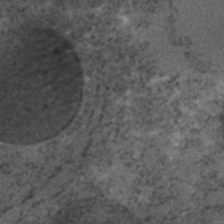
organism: C. elegans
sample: C. elegans embryo